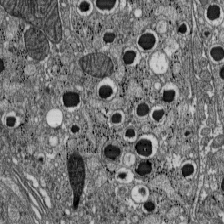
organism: C57BL Mouse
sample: Pancreatic islet